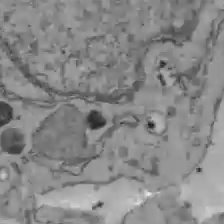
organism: C57BL Mouse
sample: Liver